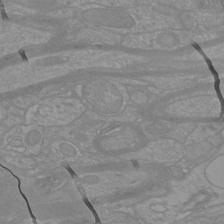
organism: Mouse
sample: Cortical neurons